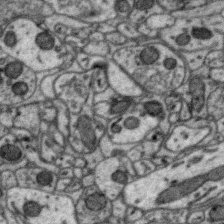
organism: Zebra finch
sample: Brain